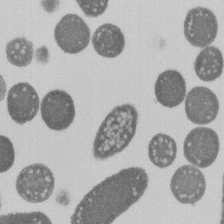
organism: E. coli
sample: Bacterial nucleoid